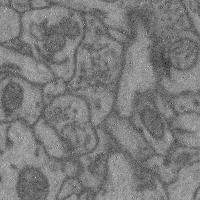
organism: Mouse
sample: Cerebral cortex